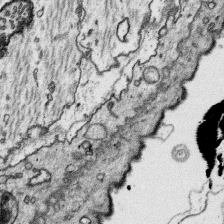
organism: Platynereis dumerilii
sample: Parapodia